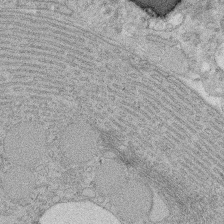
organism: Rat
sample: Salivary granule